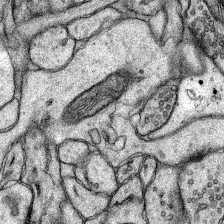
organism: Rat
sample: Hippocampus